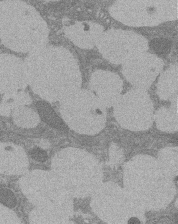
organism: Rat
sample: Salivary granule